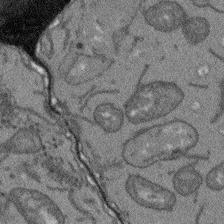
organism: Arabidopsis thaliana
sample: Root tip